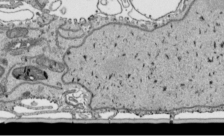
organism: Human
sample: Mitochondria in HCT116 cells